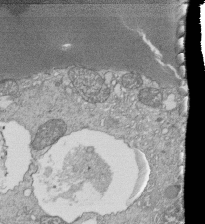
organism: Tetrahymena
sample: Cilia in tetrahymena